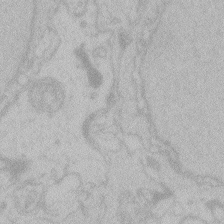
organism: Zebrafish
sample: Macrophage infected with Toxoplasma gondii